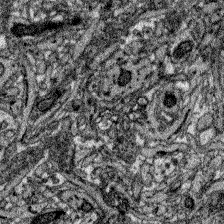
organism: Zebrafish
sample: Larval olfactory bulb